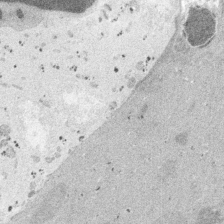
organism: Embia sp.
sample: Silk gland